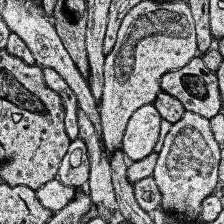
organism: Human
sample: Temporal Lobe